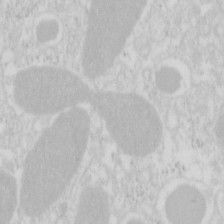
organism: Mouse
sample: Pancreas